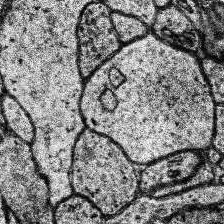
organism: Human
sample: Temporal Lobe